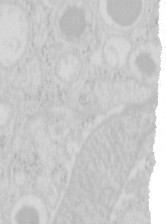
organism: Mouse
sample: Pancreas